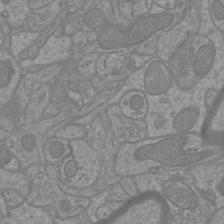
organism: Mouse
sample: Cortical neurons